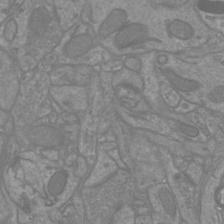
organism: Mouse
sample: Cortical neurons